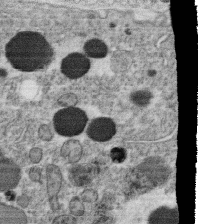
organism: C. elegans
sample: C. elegans oocyte; sperm cells